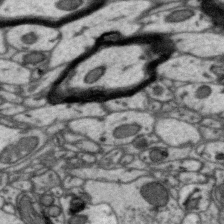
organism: Zebra finch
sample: Brain